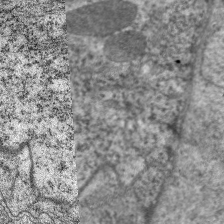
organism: C. elegans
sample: Pharynx